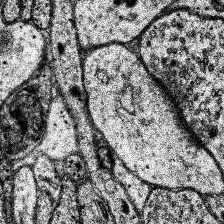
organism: Human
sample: Temporal Lobe